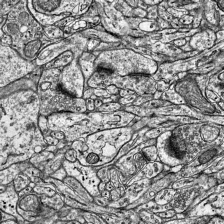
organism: Mouse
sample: Visual Cortex